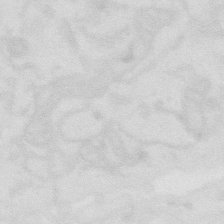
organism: Human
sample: HeLa cells